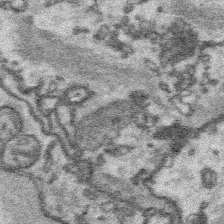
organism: Platynereis dumerilii